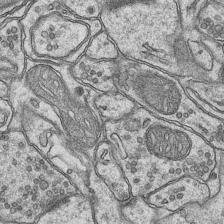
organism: Mouse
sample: CA1 Hippocampus